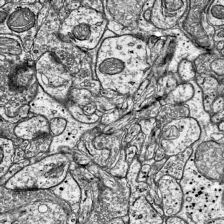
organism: Mouse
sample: Visual Cortex